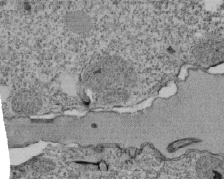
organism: Tetrahymena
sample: Cilia in tetrahymena